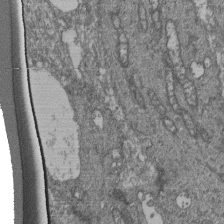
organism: Human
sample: Retinal organoid Rod and Cone cells